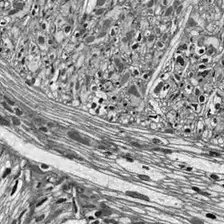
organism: Drosophila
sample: Optic lobe